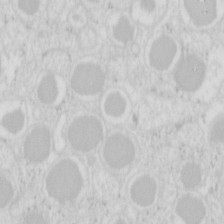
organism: Mouse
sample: Pancreas